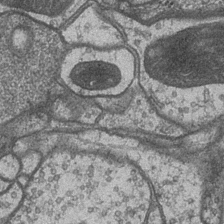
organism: Drosophila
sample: Optic medulla